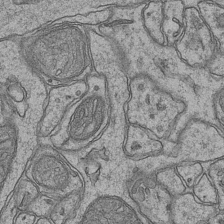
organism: Mouse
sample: CA1 Hippocampus